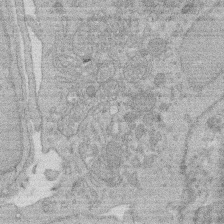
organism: Rat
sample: Salivary granule